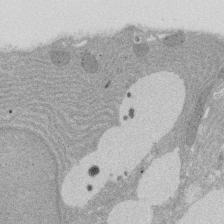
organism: Rat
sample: Salivary granule